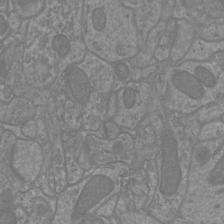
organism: Mouse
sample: Cortical neurons